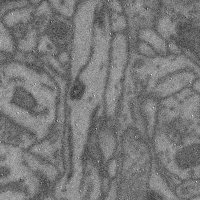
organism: Mouse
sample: Cerebral cortex